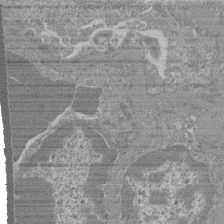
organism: Mouse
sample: Glomerulus